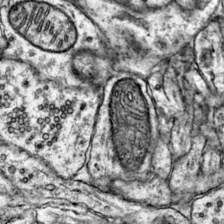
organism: Mouse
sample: Primary visual cortex